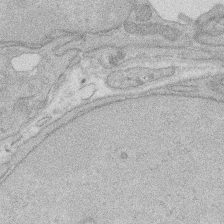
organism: Rat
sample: Salivary granule